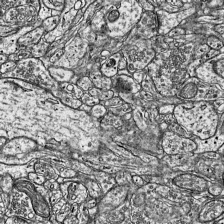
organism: Mouse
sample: Visual Cortex